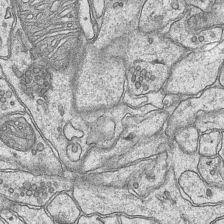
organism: Mouse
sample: CA1 Hippocampus